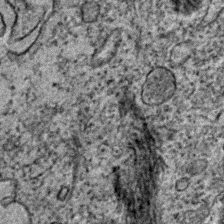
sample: Trachea